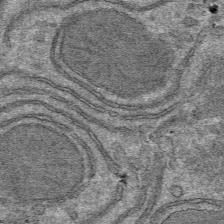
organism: Mouse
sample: Mouse hepatocytes